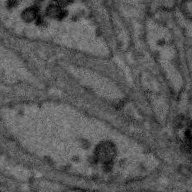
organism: Zebra finch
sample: Brain